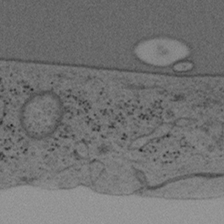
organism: Human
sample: HeLa cells